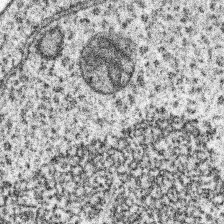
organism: Human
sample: HeLa cells